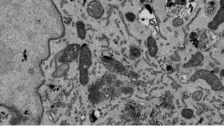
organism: Mouse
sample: ED-1 cell nuclei; centrioles